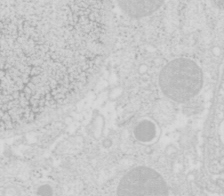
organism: Mouse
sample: Pancreas